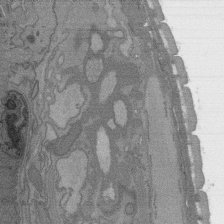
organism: C. elegans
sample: AFD neurons C. elegans